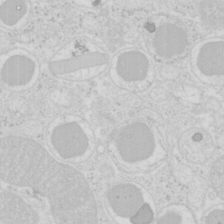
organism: Mouse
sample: Pancreas